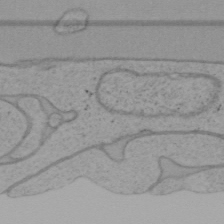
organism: Human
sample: HeLa cells